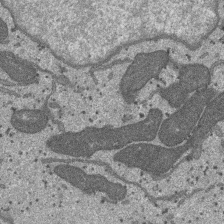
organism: Human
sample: Lung epithelial cells infected with SARS-CoV-2